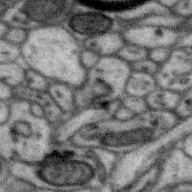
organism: Zebra finch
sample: Brain